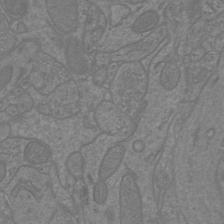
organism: Mouse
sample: Cortical neurons